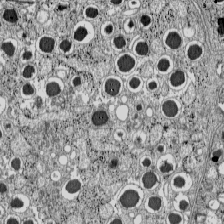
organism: C57BL Mouse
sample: Pancreatic islet